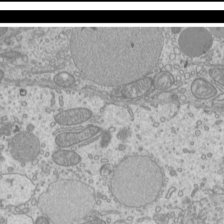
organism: Mouse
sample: Cilia; mouse epididymis